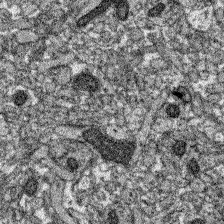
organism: Zebrafish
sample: Larval olfactory bulb